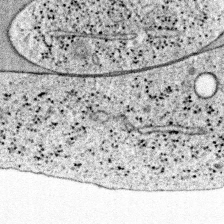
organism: Human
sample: HeLa cells